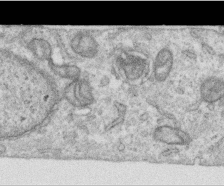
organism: Human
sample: Centriole in RPE cells